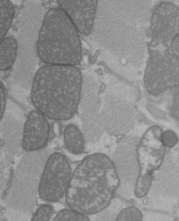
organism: C57BL Mouse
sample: Heart